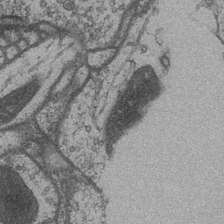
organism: Drosophila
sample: Optic medulla